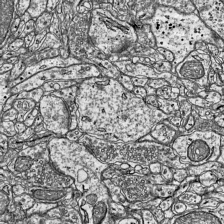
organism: Mouse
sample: Visual Cortex